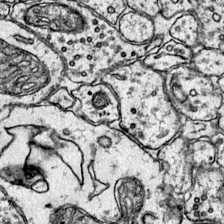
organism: Mouse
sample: Primary visual cortex